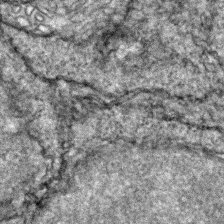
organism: Zebrafish